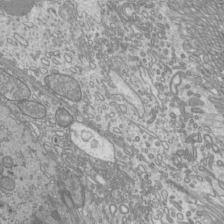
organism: Mouse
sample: Cilia; mouse epididymis